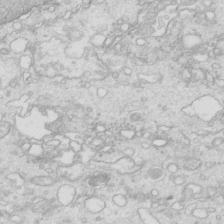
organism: Mouse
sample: Multiciliated cells